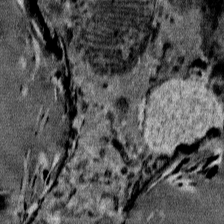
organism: Mouse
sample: Mouse Salivary gland